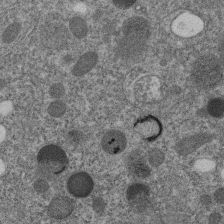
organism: C. elegans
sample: C. elegans embryo early stage